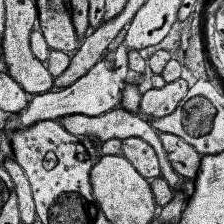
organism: Human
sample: Temporal Lobe